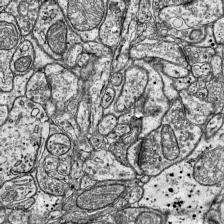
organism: Mouse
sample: Visual Cortex